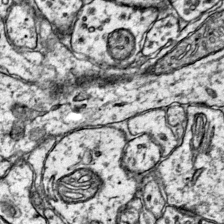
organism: Mouse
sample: Primary visual cortex